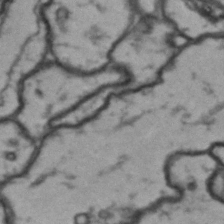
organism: Drosophila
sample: Brain